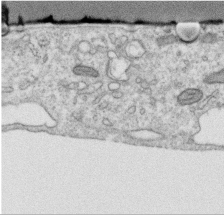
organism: Human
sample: Centriole in RPE cells